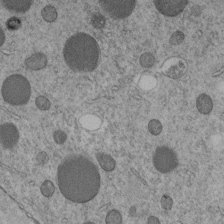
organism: C. elegans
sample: C. elegans embryo early stage